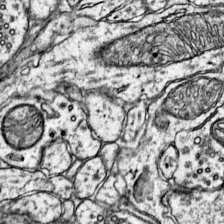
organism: Mouse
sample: Primary visual cortex